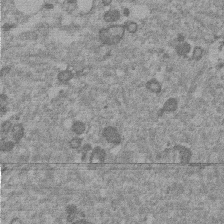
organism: Mouse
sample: Dividing mouse embryo 1 cell stage